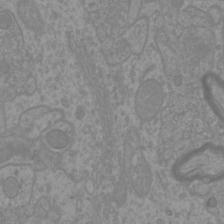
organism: Mouse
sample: Cortical neurons